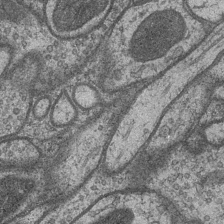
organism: Drosophila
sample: Optic medulla